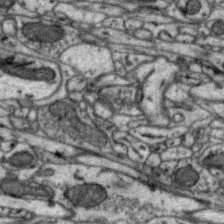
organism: Zebra finch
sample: Brain